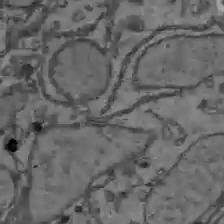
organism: C57BL Mouse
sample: Liver